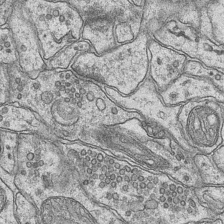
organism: Mouse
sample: CA1 Hippocampus